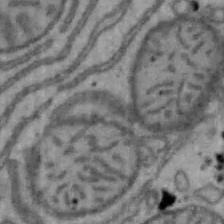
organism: Mouse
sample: Liver